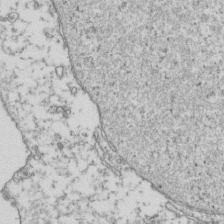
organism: Human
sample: Activated Jurkat CD4+ T cells